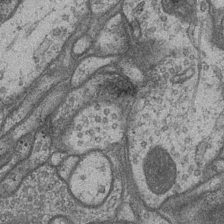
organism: Drosophila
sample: Optic medulla